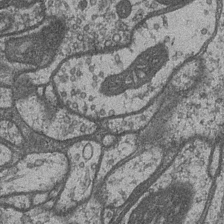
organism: Drosophila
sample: Optic medulla